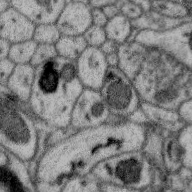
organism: Zebra finch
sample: Brain